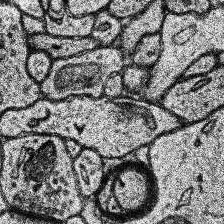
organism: Human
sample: Temporal Lobe